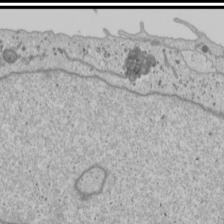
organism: Human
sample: Mitochondria in U2OS cells